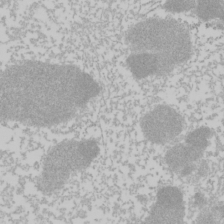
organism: Mouse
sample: Cancer cell death in ED-1 cells